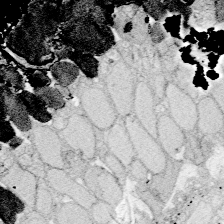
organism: Zebrafish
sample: Whole-Brain